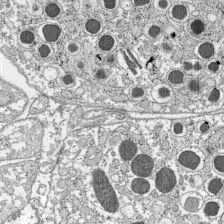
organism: C57BL Mouse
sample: Pancreatic islet